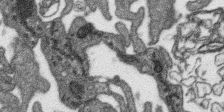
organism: Human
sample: Lung epithelial cells infected with SARS-CoV-2